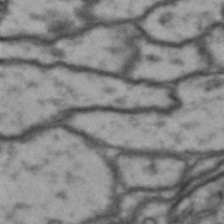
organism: Drosophila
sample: Brain